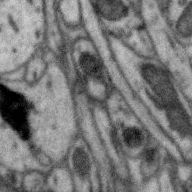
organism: Zebra finch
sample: Brain